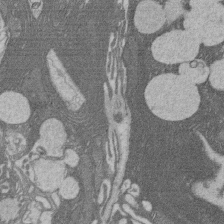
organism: Rat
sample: Salivary granule